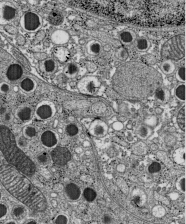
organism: C57BL Mouse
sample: Pancreatic islet